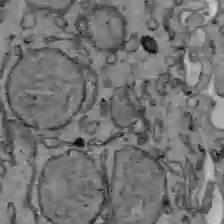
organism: C57BL Mouse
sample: Liver